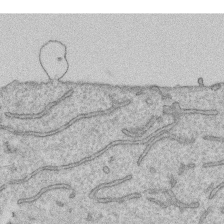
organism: Human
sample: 1205lu cells